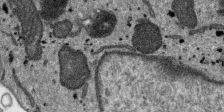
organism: Human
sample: Lung epithelial cells, uninfected (mock) control